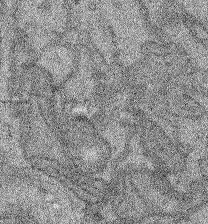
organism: Human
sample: HeLa cells